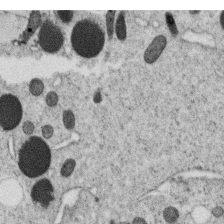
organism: C. elegans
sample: C. elegans oocyte; sperm cells